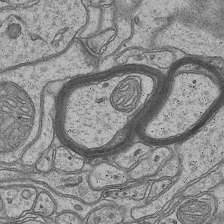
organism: Mouse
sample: CA1 Hippocampus